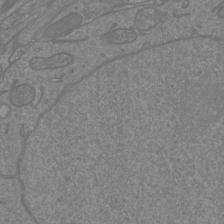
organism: Mouse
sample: Cortical neurons